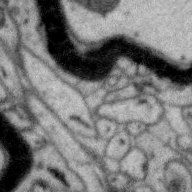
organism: Zebra finch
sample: Brain